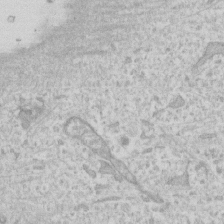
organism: Human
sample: Fibroblast cells